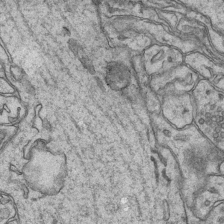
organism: Mouse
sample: CA1 Hippocampus